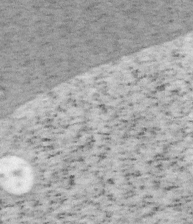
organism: Mouse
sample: OT-I killer T cells with ID8 ovarian cancer cells